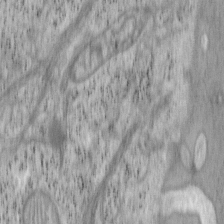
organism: Human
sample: HeLa cells